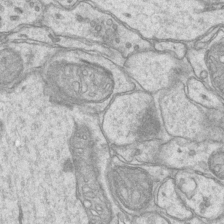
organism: Mouse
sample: CA1 Hippocampus